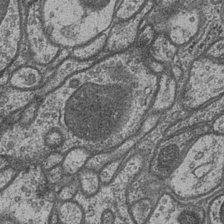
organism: Drosophila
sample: Optic medulla